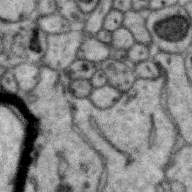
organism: Zebra finch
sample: Brain